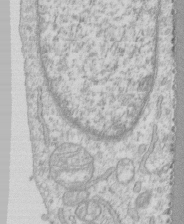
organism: Human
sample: CRL-1474